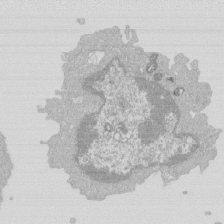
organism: Mouse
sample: Activated Pmel transgenic CD8+ T Cells